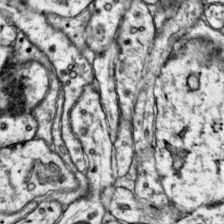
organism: Mouse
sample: Primary visual cortex